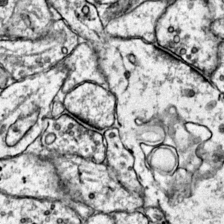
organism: Mouse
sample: Primary visual cortex